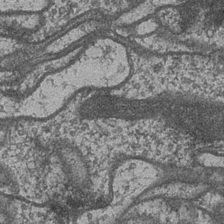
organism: Drosophila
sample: Optic medulla